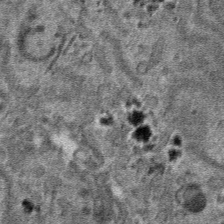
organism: Mouse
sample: Mouse hepatocytes